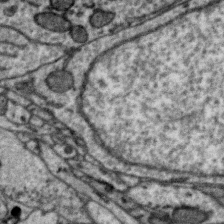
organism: Zebra finch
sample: Brain